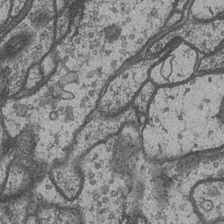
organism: Drosophila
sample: Optic medulla